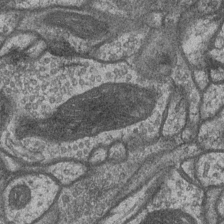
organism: Drosophila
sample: Optic medulla